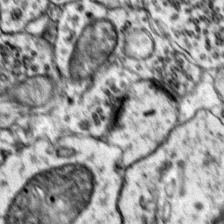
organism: Mouse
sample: Primary visual cortex